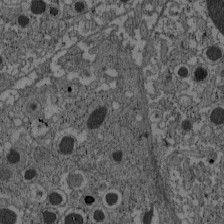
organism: C57BL Mouse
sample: Pancreatic islet